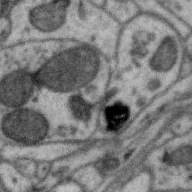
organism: Zebra finch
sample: Brain